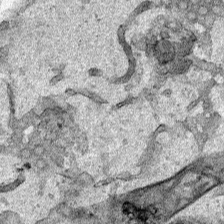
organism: Human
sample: Mitochondria in HCT116 cells